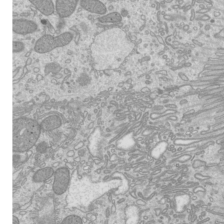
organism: Mouse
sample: Cilia; mouse epididymis